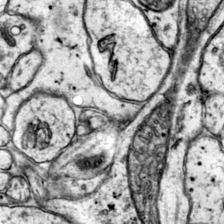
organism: Mouse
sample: Primary visual cortex